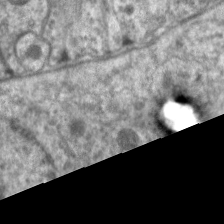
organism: C. elegans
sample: Pharynx